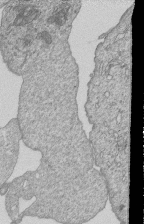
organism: Human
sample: MDA-MB-231 cells